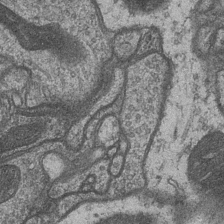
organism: Drosophila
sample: Optic medulla